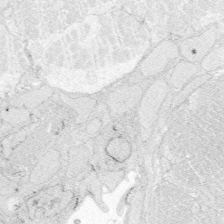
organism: Zebrafish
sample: Whole-Brain